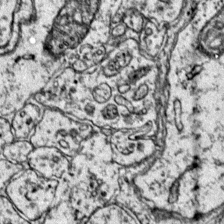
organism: Mouse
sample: Primary visual cortex